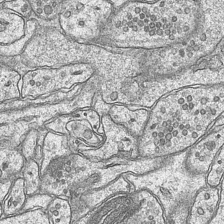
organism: Mouse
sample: CA1 Hippocampus